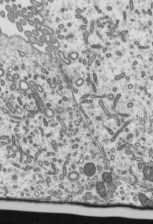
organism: Mouse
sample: Mouse epididymis efferent ductule cilia